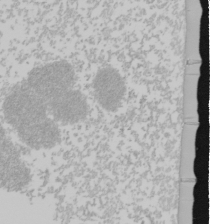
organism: Mouse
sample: Cancer cell death in ED-1 cells